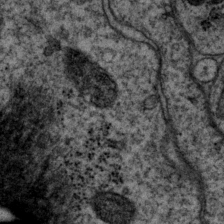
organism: P. pacificus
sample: Pharynx